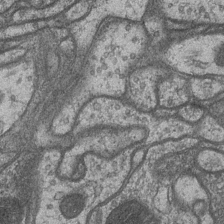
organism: Drosophila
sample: Optic medulla